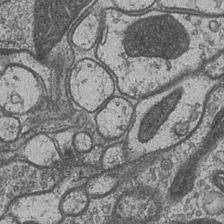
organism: Drosophila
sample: Optic medulla